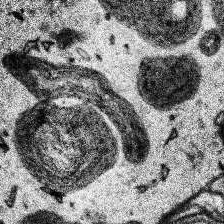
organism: Human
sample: Temporal Lobe